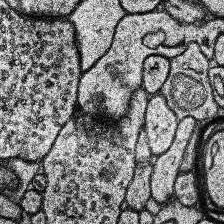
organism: Human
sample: Temporal Lobe